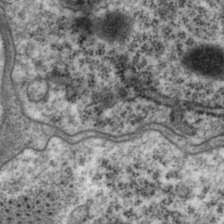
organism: P. pacificus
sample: Pharynx